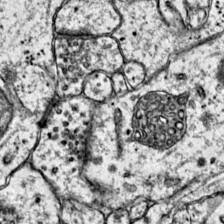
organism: Mouse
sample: Primary visual cortex